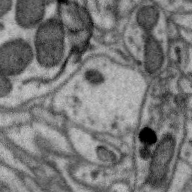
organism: Zebra finch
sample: Brain